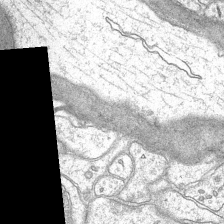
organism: Mouse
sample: CA1 Hippocampus